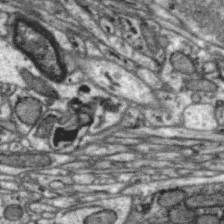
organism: Zebra finch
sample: Brain